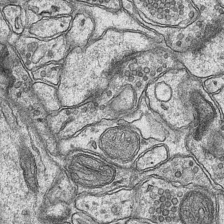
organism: Mouse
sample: CA1 Hippocampus